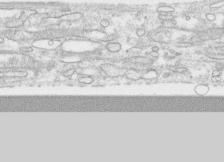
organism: Human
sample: CRL-1474